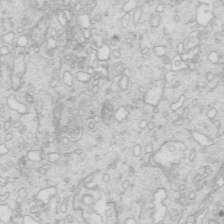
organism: Mouse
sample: Multiciliated cells